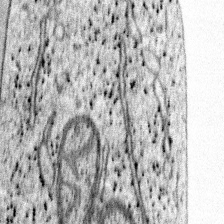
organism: Human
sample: HeLa cells